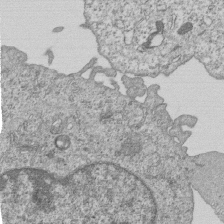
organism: Human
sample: MDA-MB-231 cells